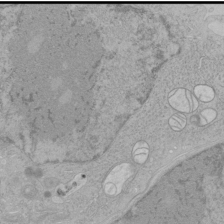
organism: Human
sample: Mitochondria in HCT116 cells